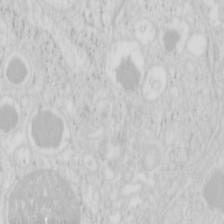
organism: Mouse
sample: Pancreas